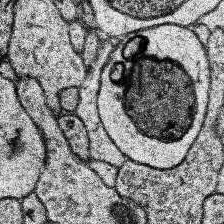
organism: Human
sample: Temporal Lobe